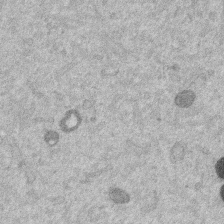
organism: Mouse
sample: Dividing mouse embryo 1 cell stage